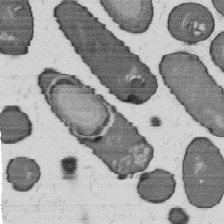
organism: B. subtilis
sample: Bacterial spore